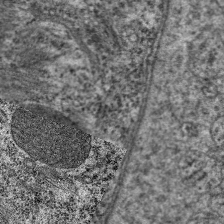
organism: C. elegans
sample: Pharynx